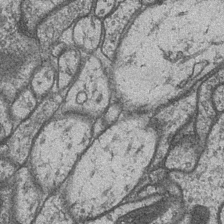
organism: Drosophila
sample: Optic medulla